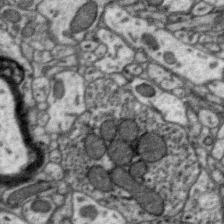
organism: Zebra finch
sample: Brain